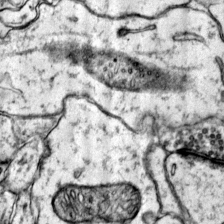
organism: Mouse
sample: Primary visual cortex